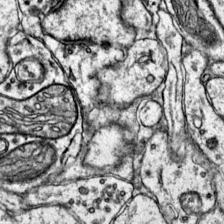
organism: Mouse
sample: Primary visual cortex